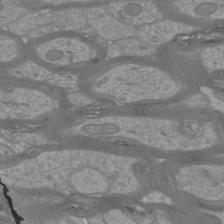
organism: Mouse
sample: Cortical neurons